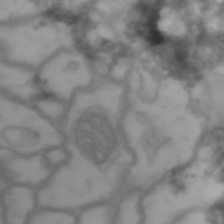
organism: Drosophila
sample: Brain